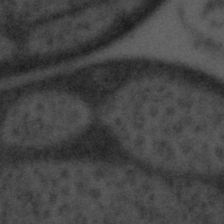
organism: Tuwongella immobilis